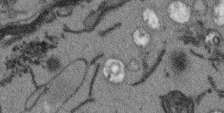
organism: Arabidopsis thaliana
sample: Root tip